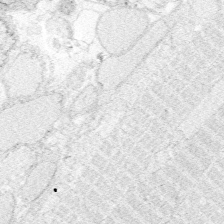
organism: Zebrafish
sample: Whole-Brain